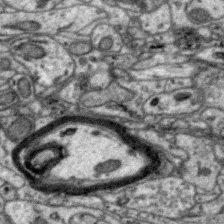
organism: Zebra finch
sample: Brain